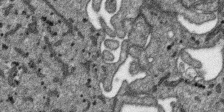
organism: Human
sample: Lung epithelial cells infected with SARS-CoV-2